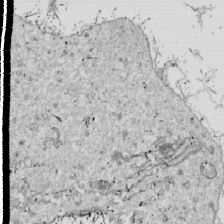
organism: Drosophila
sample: Cell division; meiosis; drosophila spermatocytes